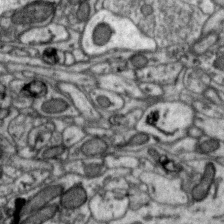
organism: Zebra finch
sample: Brain